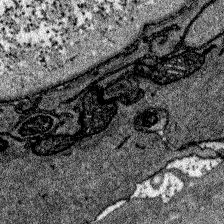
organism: Zebrafish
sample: Larval olfactory bulb